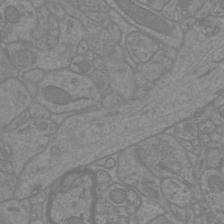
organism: Mouse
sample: Cortical neurons